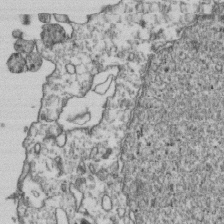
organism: Human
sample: Activated Jurkat CD4+ T cells